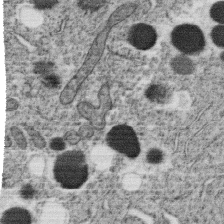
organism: C. elegans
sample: C. elegans oocyte; sperm cells